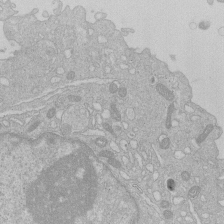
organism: Human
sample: Macrophage cells